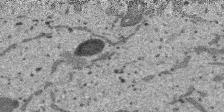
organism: Human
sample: Lung epithelial cells infected with SARS-CoV-2